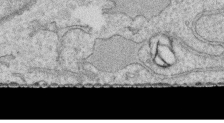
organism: Human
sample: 1205lu cells